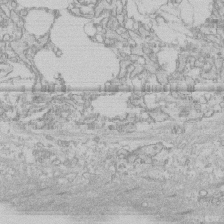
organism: Human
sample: CRL-1474